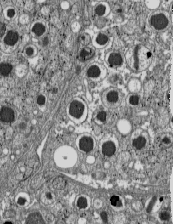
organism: C57BL Mouse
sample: Pancreatic islet